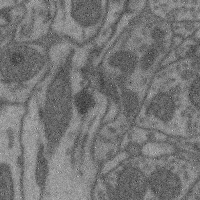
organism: Mouse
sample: Cerebral cortex